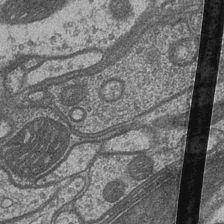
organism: Drosophila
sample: Optic medulla